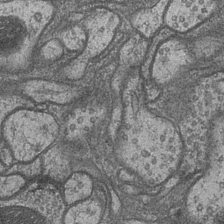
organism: Drosophila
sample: Optic medulla